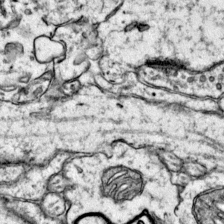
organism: Mouse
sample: Primary visual cortex